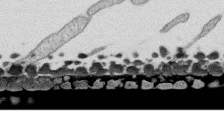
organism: Human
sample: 1205lu cells